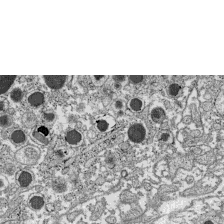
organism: C57BL Mouse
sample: Pancreatic islet